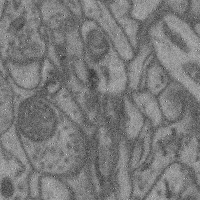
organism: Mouse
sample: Cerebral cortex